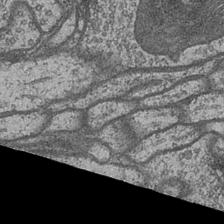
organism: Drosophila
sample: Optic medulla